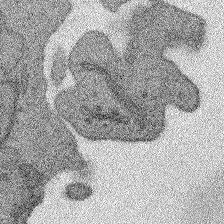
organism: Human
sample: HeLa cells